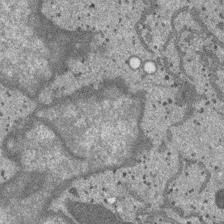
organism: Human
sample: Lung epithelial cells infected with SARS-CoV-2